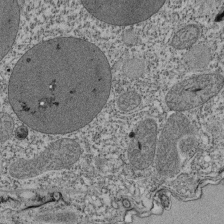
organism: Tetrahymena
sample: Cilia in tetrahymena